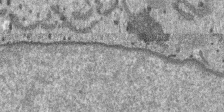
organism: Human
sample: Lung epithelial cells infected with SARS-CoV-2